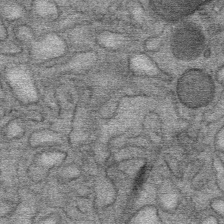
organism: Mouse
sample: Mouse Salivary gland